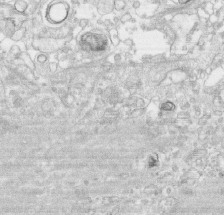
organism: Human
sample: CRL-1474